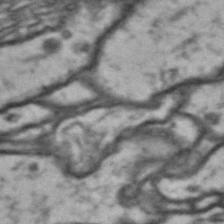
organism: Drosophila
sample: Brain